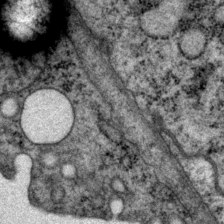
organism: P. pacificus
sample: Pharynx